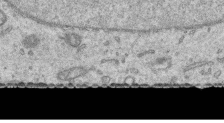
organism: Human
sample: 1205lu cells